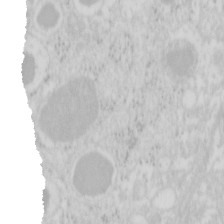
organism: Mouse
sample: Pancreas